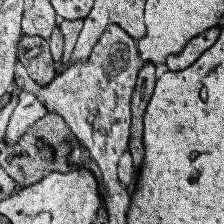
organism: Human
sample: Temporal Lobe